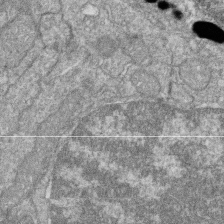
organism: Zebrafish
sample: Cilia; retinal pigment epithelium